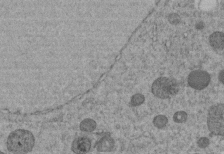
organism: C. elegans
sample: C. elegans embryo early stage